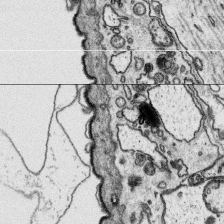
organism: Platynereis dumerilii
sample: Parapodia